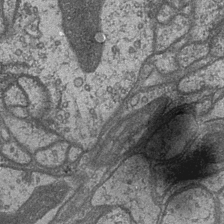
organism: Drosophila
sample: Optic medulla